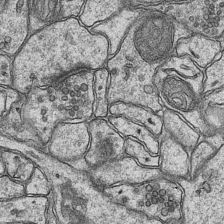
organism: Mouse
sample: CA1 Hippocampus